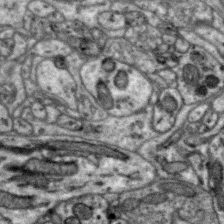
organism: Zebra finch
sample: Brain